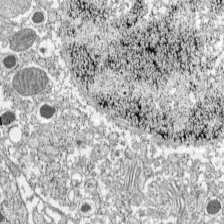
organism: C57BL Mouse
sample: Pancreatic islet